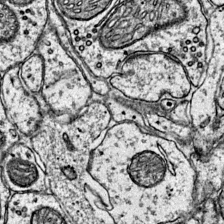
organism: Mouse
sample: Primary visual cortex